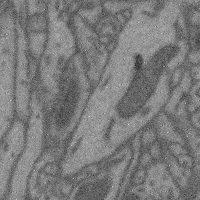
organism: Mouse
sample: Cerebral cortex